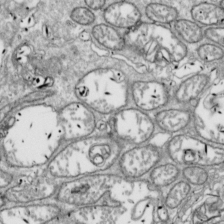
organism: Drosophila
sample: Cell division; meiosis; drosophila spermatocytes